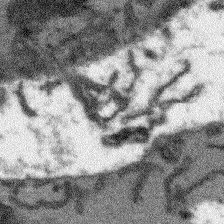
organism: Arabidopsis thaliana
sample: Root tip